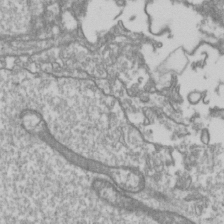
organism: Drosophila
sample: Cell division; meiosis; drosophila spermatocytes